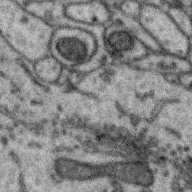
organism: Zebra finch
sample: Brain